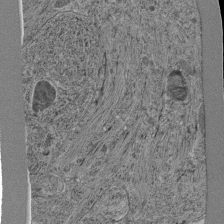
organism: C. elegans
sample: C. elegans pharynx